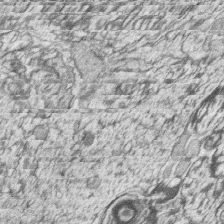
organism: Zebrafish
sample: synaptic ribbons in rod cells and cone cells